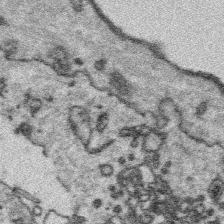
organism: Platynereis dumerilii